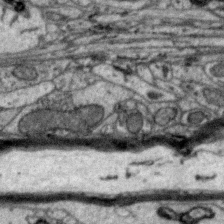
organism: Zebra finch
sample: Brain